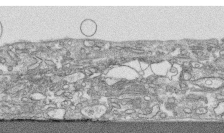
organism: Human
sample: CRL-1474